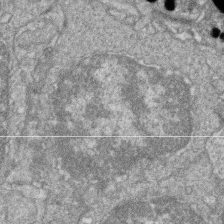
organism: Zebrafish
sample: Cilia; retinal pigment epithelium